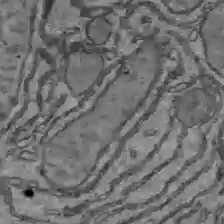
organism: C57BL Mouse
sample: Liver